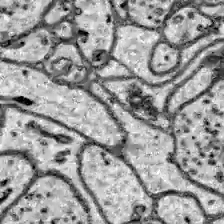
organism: Zebrafish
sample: Brain